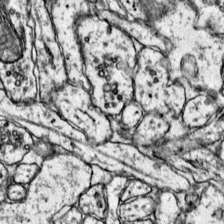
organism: Mouse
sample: Primary visual cortex